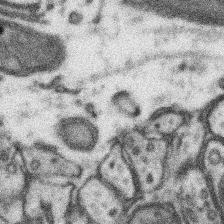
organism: Mouse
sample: Somatosensory cortex neuropil